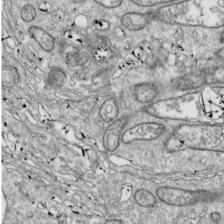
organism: Drosophila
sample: Cell division; meiosis; drosophila spermatocytes